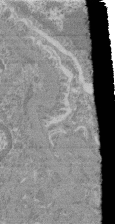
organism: Mouse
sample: Glomerulus